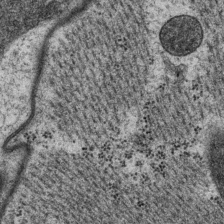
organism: P. pacificus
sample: Pharynx